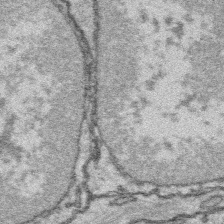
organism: Platynereis dumerilii